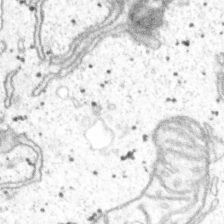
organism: Human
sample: HeLa cells